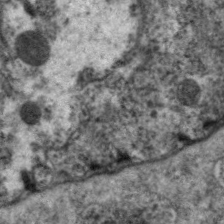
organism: C. elegans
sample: Pharynx